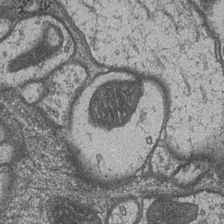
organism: Drosophila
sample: Optic medulla